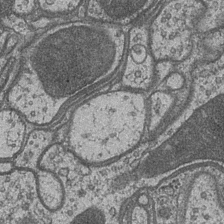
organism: Drosophila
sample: Optic medulla